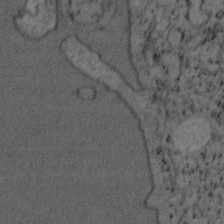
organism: Human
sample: HeLa cells